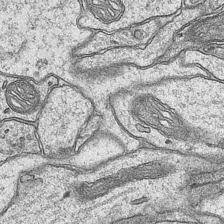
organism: Mouse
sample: CA1 Hippocampus